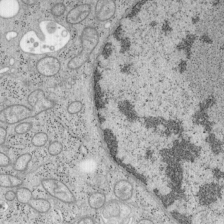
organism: Mouse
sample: OT-I killer T cells with ID8 ovarian cancer cells